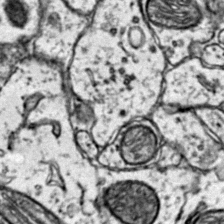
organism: Mouse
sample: Primary visual cortex